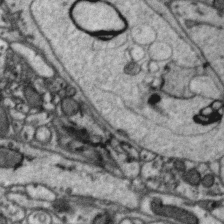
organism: Zebra finch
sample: Brain